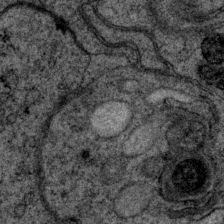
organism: P. pacificus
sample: Pharynx